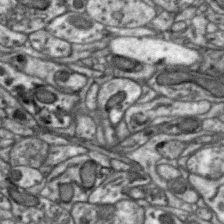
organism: Zebra finch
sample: Brain